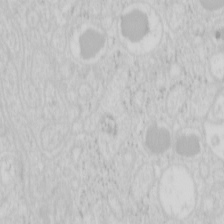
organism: Mouse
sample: Pancreas